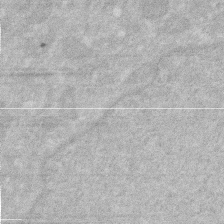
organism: Human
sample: HIV infected U937 cells